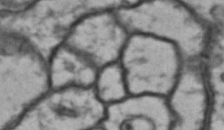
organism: Drosophila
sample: Brain